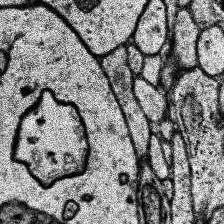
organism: Human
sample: Temporal Lobe